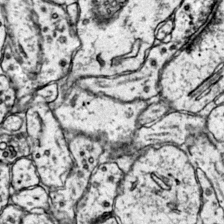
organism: Mouse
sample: Primary visual cortex